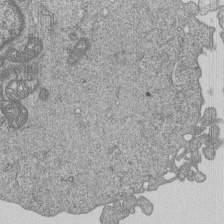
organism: Human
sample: MDA-MB-231 cells